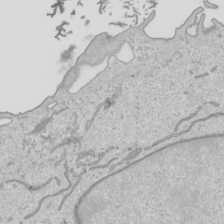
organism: Human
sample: Mitochondria in HCT116 cells